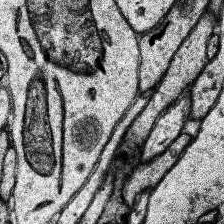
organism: Human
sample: Temporal Lobe